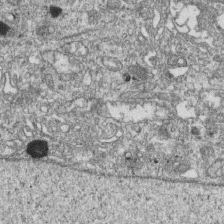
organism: Human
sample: HeLa cell HIV synapse